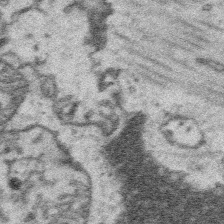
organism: Platynereis dumerilii